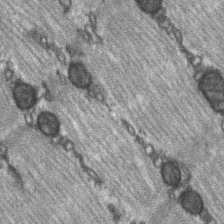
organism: C57BL Mouse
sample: Soleus